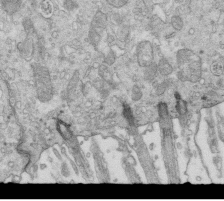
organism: Mouse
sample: Multiciliated cells